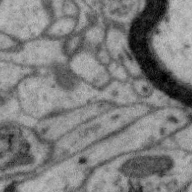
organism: Zebra finch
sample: Brain